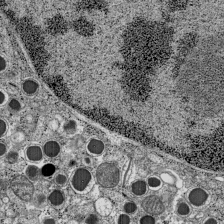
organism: C57BL Mouse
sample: Pancreatic islet